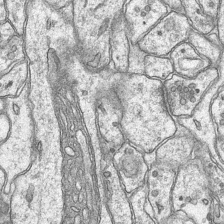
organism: Mouse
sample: CA1 Hippocampus